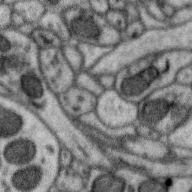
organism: Zebra finch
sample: Brain